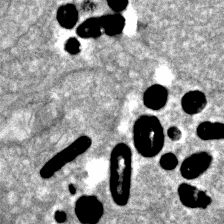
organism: Zebrafish